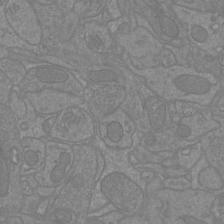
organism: Mouse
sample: Cortical neurons